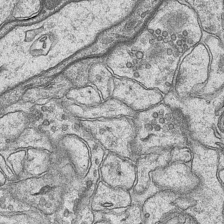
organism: Mouse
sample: CA1 Hippocampus